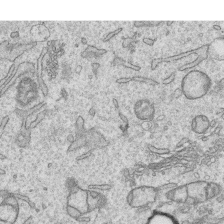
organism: Human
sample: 1205lu cells